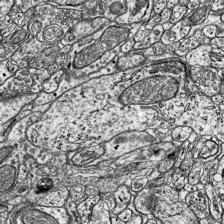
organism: Mouse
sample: Visual Cortex